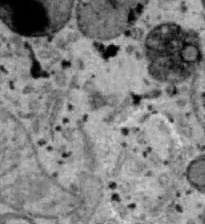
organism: Mouse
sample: Liver from an obese (ob/ob) mouse